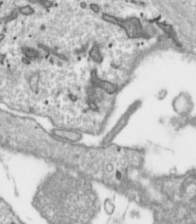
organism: Toxoplasma gondii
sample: Parasites in a vacuole inside a host cell